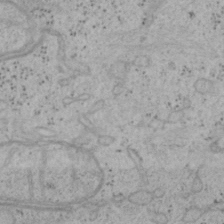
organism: Human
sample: HeLa cells